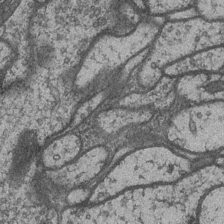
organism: Drosophila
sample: Optic medulla